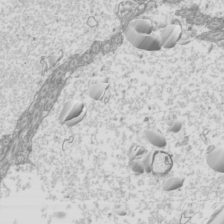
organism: Mouse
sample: Cilia; mouse epididymis